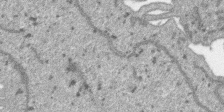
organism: Human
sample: Lung epithelial cells infected with SARS-CoV-2